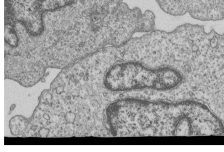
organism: Human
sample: MDA-MB-231 cells